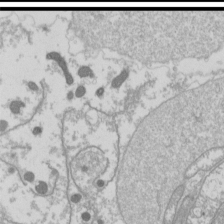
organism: Drosophila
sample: Cell division; meiosis; drosophila spermatocytes